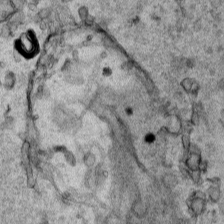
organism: Human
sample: Mitochondria in HCT116 cells